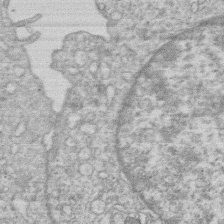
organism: Human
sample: Macrophage cells